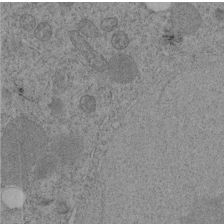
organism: C. elegans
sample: C. elegans embryo early stage